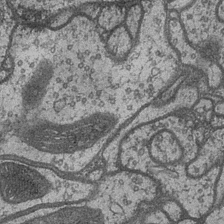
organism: Drosophila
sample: Optic medulla